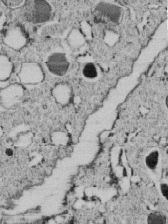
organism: C. elegans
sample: C. elegans embryo early stage